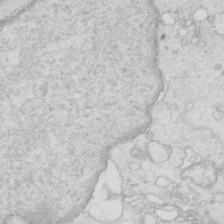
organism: Mouse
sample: Multiciliated cells